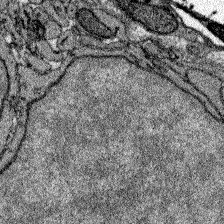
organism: Zebrafish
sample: Larval olfactory bulb